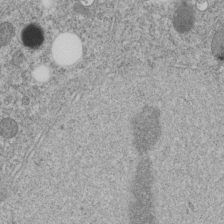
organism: C. elegans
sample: C. elegans embryo early stage